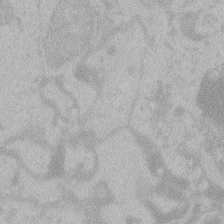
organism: Zebrafish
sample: Macrophage infected with Toxoplasma gondii